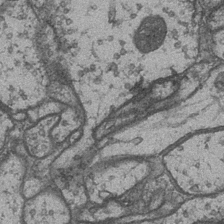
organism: Drosophila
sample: Optic medulla